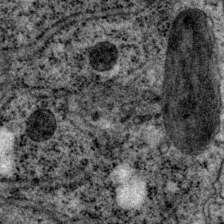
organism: P. pacificus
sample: Pharynx